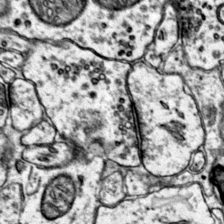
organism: Mouse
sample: Primary visual cortex